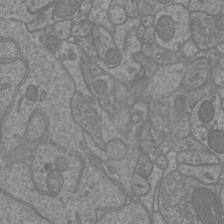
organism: Mouse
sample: Cortical neurons